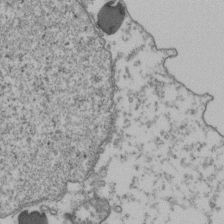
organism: Human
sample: Activated Jurkat CD4+ T cells